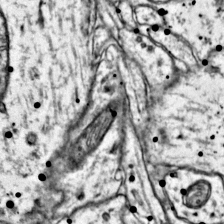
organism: Mouse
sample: Primary visual cortex